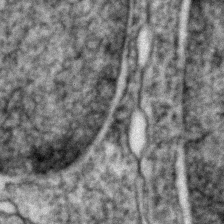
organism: Zebrafish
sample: Zebrafish embryo